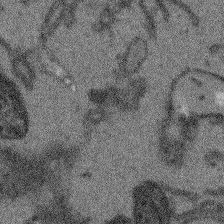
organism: Arabidopsis thaliana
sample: Root tip